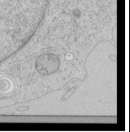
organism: Human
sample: Mitochondria in HCT116 cells